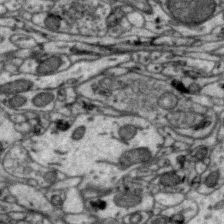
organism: Zebra finch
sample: Brain